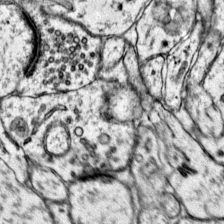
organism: Mouse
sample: Primary visual cortex